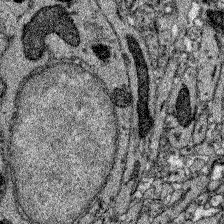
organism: Zebrafish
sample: Larval olfactory bulb